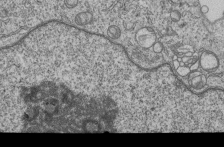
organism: Human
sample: MDA-MB-231 cells